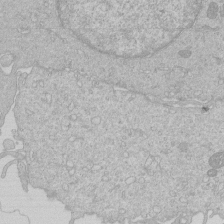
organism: Human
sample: Macrophage cells